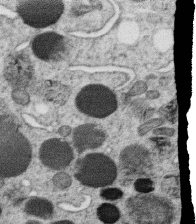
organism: C. elegans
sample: C. elegans oocyte; sperm cells